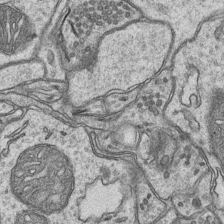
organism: Mouse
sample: CA1 Hippocampus